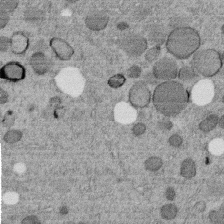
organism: C. elegans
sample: C. elegans embryo early stage